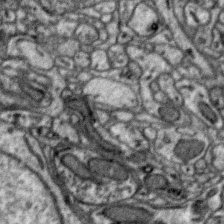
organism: Zebra finch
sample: Brain